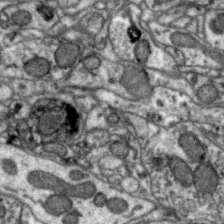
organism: Zebra finch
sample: Brain